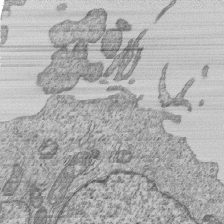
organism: Human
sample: MDA-MB-231 cells